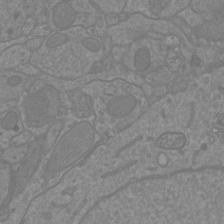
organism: Mouse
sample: Cortical neurons